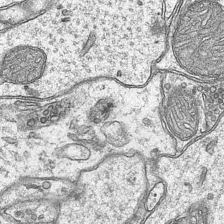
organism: Mouse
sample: CA1 Hippocampus